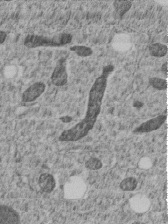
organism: C. elegans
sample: C. elegans embryo early stage